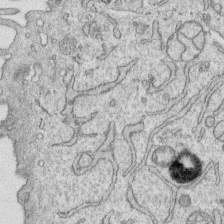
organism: Human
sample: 1205lu cells